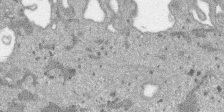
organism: Human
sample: Lung epithelial cells infected with SARS-CoV-2